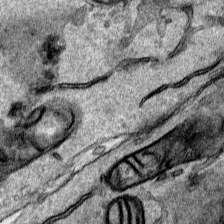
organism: Human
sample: Mitochondria in HCT116 cells